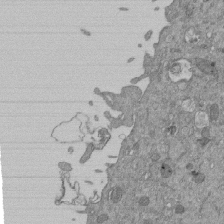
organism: Mouse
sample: ED-1 cell nuclei; centrioles